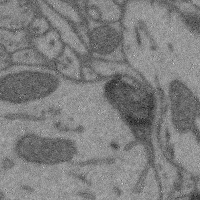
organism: Mouse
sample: Cerebral cortex